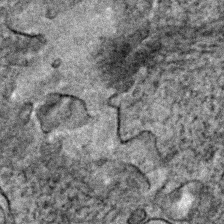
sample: Trachea